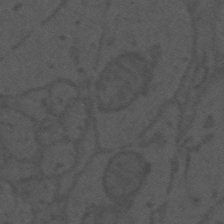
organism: Mouse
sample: Suprachiasmatic nucleus